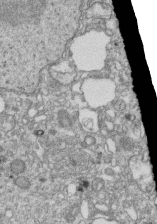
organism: Human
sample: HeLa cell HIV synapse